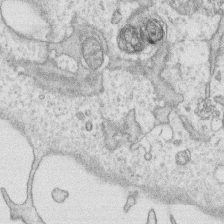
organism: Human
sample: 1205lu cells